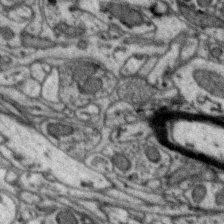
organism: Zebra finch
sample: Brain